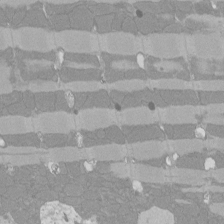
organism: Rat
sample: Left ventricle